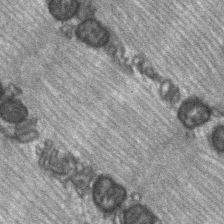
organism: C57BL Mouse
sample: Soleus